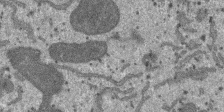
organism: Human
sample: Lung epithelial cells infected with SARS-CoV-2